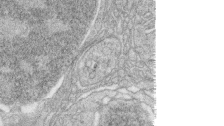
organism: Zebrafish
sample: synaptic ribbons in rod cells and cone cells